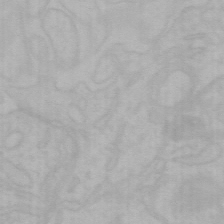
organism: Mouse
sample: Choroid plexus